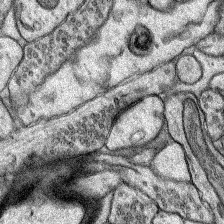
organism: Rat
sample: Hippocampus